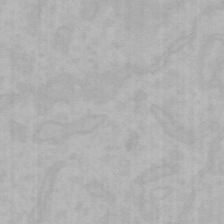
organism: Mouse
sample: Choroid plexus